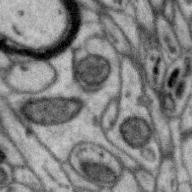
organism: Zebra finch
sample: Brain